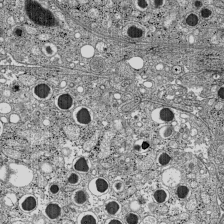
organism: C57BL Mouse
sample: Pancreatic islet